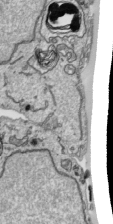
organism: Human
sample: Mitochondria in HCT116 cells